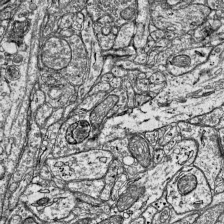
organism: Mouse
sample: Visual Cortex